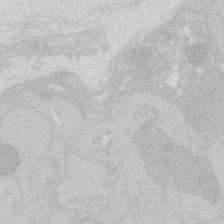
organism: Zebrafish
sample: Macrophage